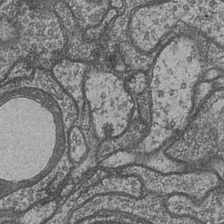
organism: Drosophila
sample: Optic medulla